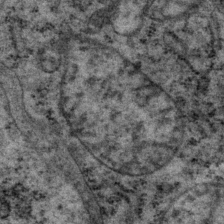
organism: P. pacificus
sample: Pharynx